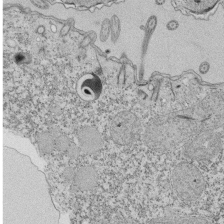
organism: Tetrahymena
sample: Cilia in tetrahymena